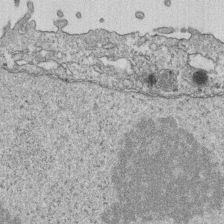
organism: Human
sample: HeLa cell HIV synapse